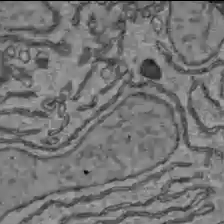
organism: C57BL Mouse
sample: Liver